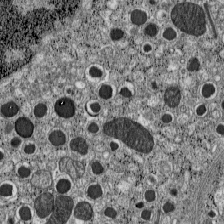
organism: C57BL Mouse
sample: Pancreatic islet